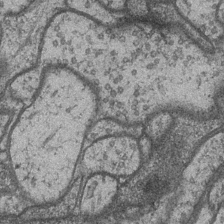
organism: Drosophila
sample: Optic medulla